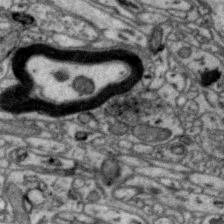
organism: Zebra finch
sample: Brain